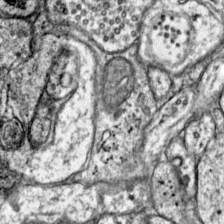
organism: Mouse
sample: Primary visual cortex